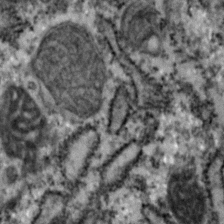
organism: Zebrafish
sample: Zebrafish embryo